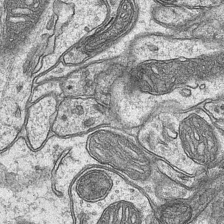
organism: Mouse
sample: CA1 Hippocampus